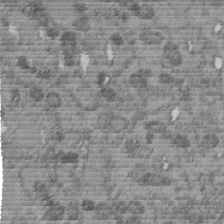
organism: C. elegans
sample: C. elegans embryo early stage